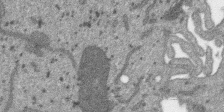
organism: Human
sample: Lung epithelial cells infected with SARS-CoV-2